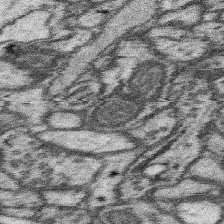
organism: Mouse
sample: Somatosensory cortex neuropil